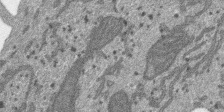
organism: Human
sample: Lung epithelial cells infected with SARS-CoV-2